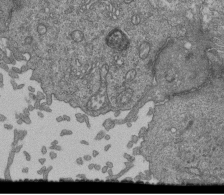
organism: Human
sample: Retinal organoid Rod and Cone cells